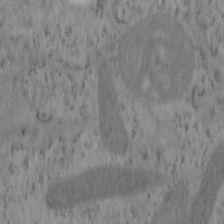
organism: Mouse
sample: OT-I killer T cells with ID8 ovarian cancer cells